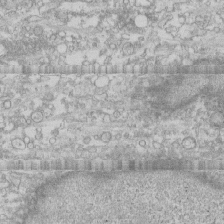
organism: Human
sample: CRL-1474